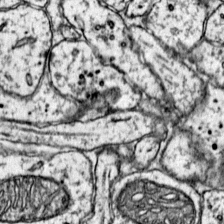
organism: Mouse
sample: Primary visual cortex